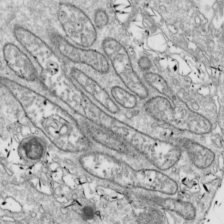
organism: Drosophila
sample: Cell division; meiosis; drosophila spermatocytes